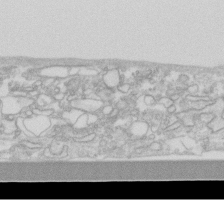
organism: Human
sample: Fibroblast cells